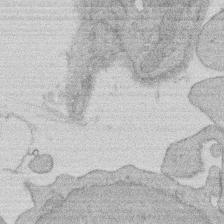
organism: Rat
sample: Salivary granule